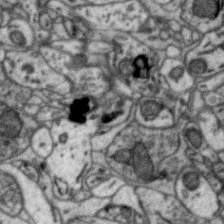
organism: Zebra finch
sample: Brain